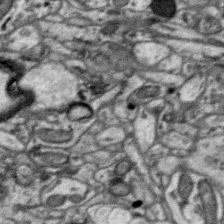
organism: Zebra finch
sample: Brain